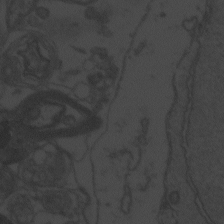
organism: Zebrafish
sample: Macrophage infected with Toxoplasma gondii